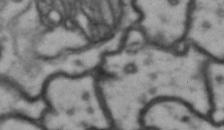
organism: Drosophila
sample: Brain